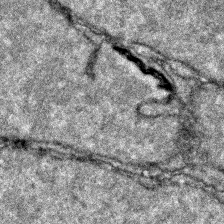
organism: Zebrafish